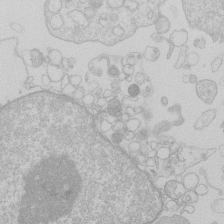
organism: Human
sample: Macrophage cells